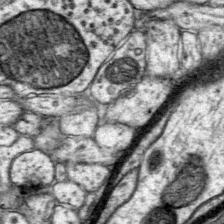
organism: Mouse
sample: Primary visual cortex